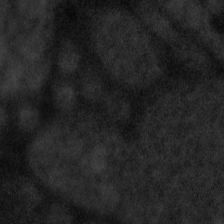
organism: Tuwongella immobilis